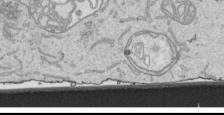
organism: Human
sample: Mitochondria in HCT116 cells